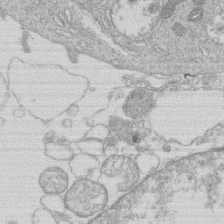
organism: Human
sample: Macrophage cells